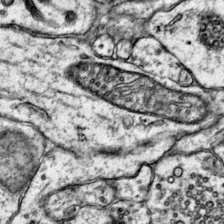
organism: Mouse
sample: Primary visual cortex